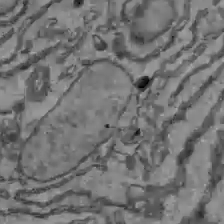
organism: C57BL Mouse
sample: Liver